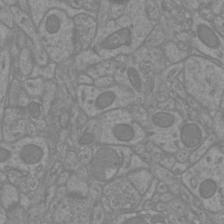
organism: Mouse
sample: Cortical neurons